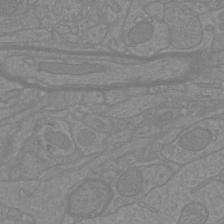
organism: Mouse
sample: Cortical neurons